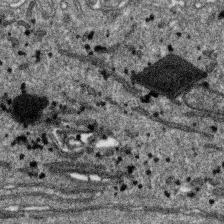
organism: Human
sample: Lung epithelial cells infected with SARS-CoV-2